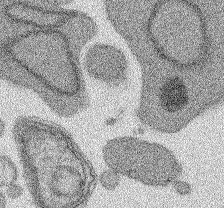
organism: Human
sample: HeLa cells